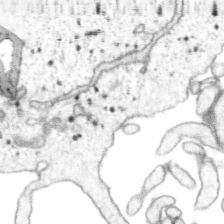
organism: Human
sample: HeLa cells